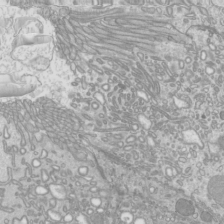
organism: Mouse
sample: Cilia; mouse epididymis